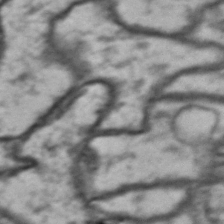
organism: Drosophila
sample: Brain